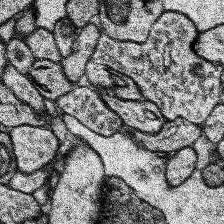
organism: Human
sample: Temporal Lobe